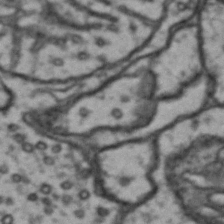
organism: Drosophila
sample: Brain